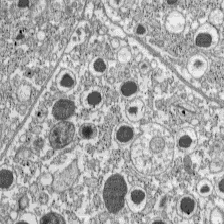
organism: C57BL Mouse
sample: Pancreatic islet